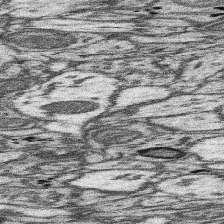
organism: Mouse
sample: Somatosensory cortex neuropil